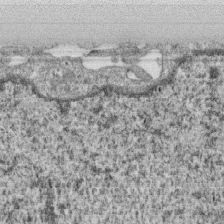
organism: African green monkey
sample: Vero E6 cells infected with SARS-CoV-2